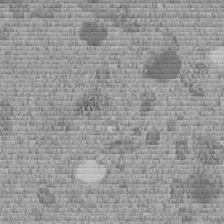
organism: C. elegans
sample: C. elegans embryo early stage